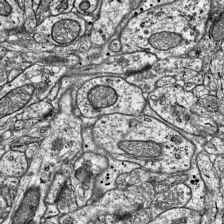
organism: Mouse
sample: Visual Cortex